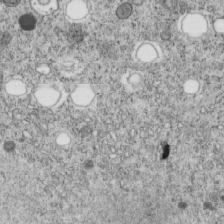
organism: C. elegans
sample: C. elegans embryo early stage